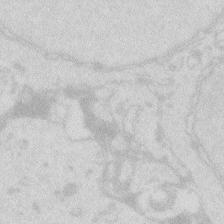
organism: Zebrafish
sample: Macrophage